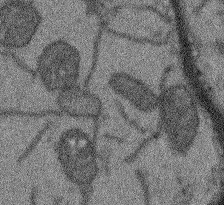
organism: Arabidopsis thaliana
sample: Root tip